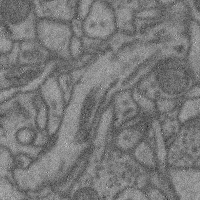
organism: Mouse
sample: Cerebral cortex